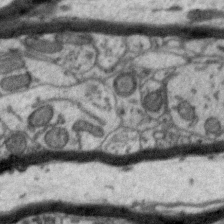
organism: Zebra finch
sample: Brain